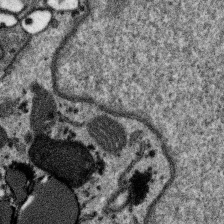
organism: Human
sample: Lung epithelial cells infected with SARS-CoV-2